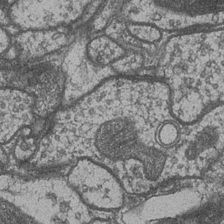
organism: Drosophila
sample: Optic medulla